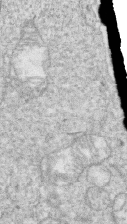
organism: Human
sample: HeLa cell HIV synapse